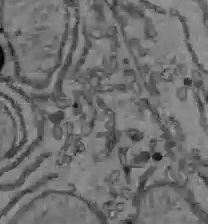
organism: C57BL Mouse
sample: Liver